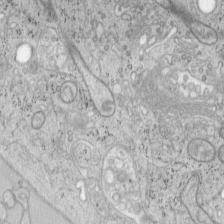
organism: Mouse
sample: OT-I killer T cells with ID8 ovarian cancer cells